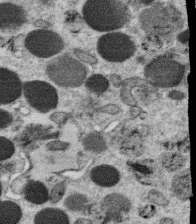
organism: C. elegans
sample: C. elegans oocyte; sperm cells